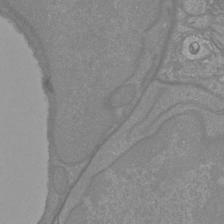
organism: Mouse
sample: Cortical neurons